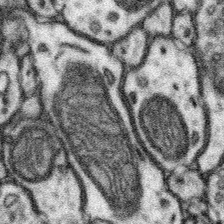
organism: Mouse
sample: Somatosensory cortex neuropil